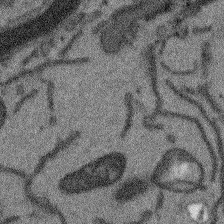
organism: Arabidopsis thaliana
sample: Root tip